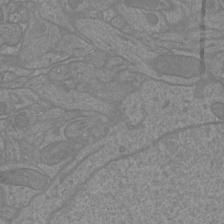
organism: Mouse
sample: Cortical neurons